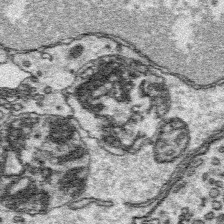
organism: Platynereis dumerilii